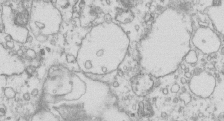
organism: Mouse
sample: Macrophages